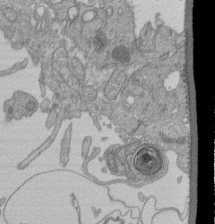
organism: Human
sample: Retinal organoid Rod and Cone cells